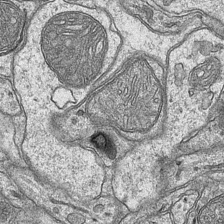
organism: Mouse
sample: CA1 Hippocampus